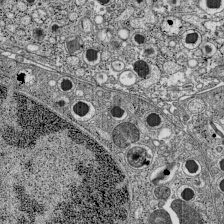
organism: C57BL Mouse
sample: Pancreatic islet